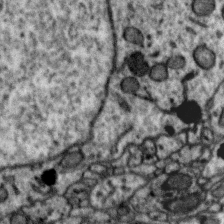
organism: Zebra finch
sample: Brain